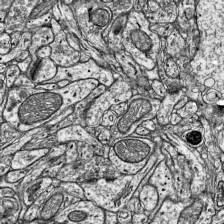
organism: Mouse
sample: Visual Cortex